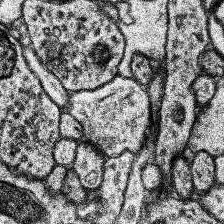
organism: Human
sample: Temporal Lobe